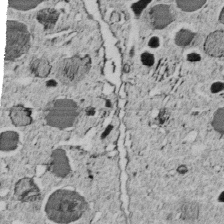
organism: C. elegans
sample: C. elegans embryo early stage